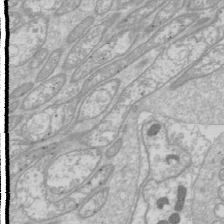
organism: Drosophila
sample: Cell division; meiosis; drosophila spermatocytes